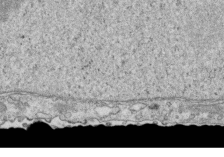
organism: Human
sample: HeLa cell HIV synapse